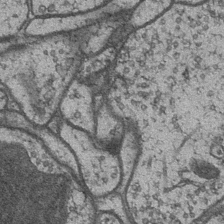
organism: Drosophila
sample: Optic medulla